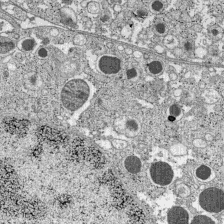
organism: C57BL Mouse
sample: Pancreatic islet